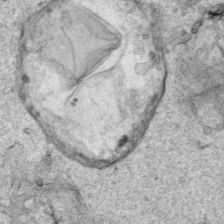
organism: Human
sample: Mitochondria in HCT116 cells